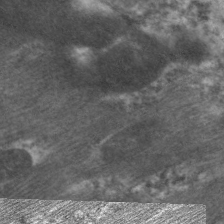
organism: C. elegans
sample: Pharynx